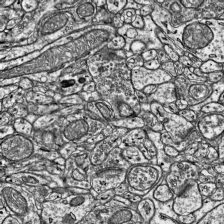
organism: Mouse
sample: Visual Cortex